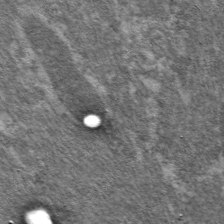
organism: C. elegans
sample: Pharynx